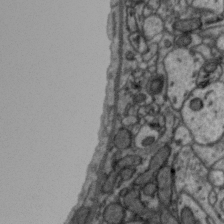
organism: Zebra finch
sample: Brain